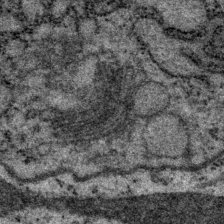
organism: P. pacificus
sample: Pharynx